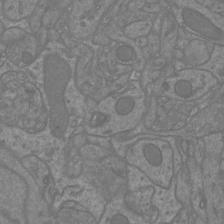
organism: Mouse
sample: Cortical neurons